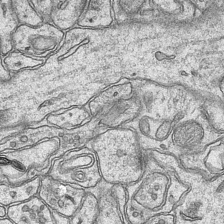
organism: Mouse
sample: CA1 Hippocampus